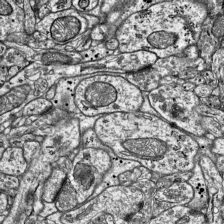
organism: Mouse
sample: Visual Cortex